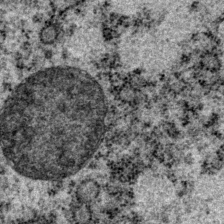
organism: P. pacificus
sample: Pharynx